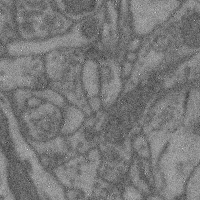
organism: Mouse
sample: Cerebral cortex